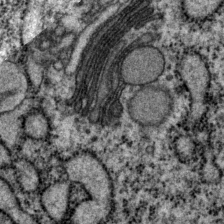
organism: P. pacificus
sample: Pharynx